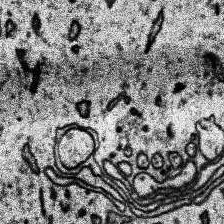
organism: Human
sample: Temporal Lobe